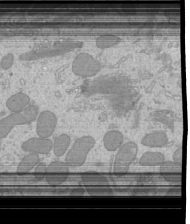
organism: Mouse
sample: Cilia; mouse epididymis